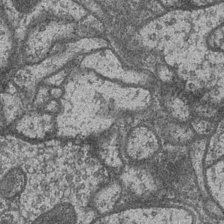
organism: Drosophila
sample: Optic medulla